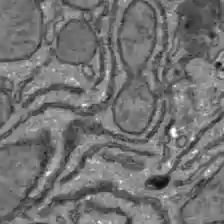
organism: C57BL Mouse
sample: Liver